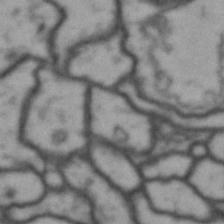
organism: Drosophila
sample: Brain